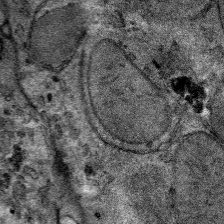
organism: Mouse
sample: Mouse hepatocytes